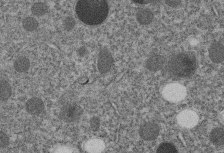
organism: C. elegans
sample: C. elegans embryo early stage